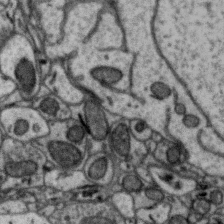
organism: Zebra finch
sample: Brain